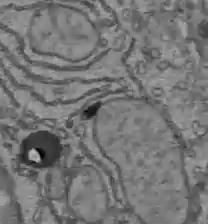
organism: C57BL Mouse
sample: Liver